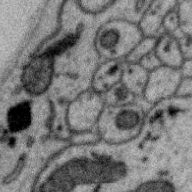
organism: Zebra finch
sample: Brain